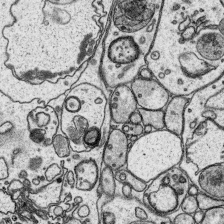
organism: Platynereis dumerilii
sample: Parapodia